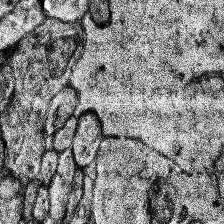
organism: Human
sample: Temporal Lobe